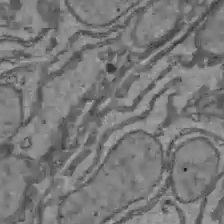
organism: C57BL Mouse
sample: Liver